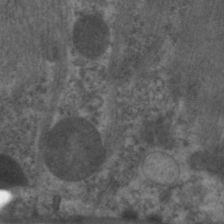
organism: C. elegans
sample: Pharynx